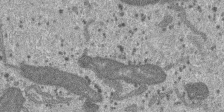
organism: Human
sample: Lung epithelial cells infected with SARS-CoV-2